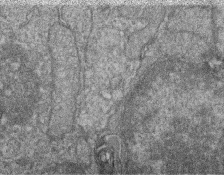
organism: Zebrafish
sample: Cilia; retinal pigment epithelium